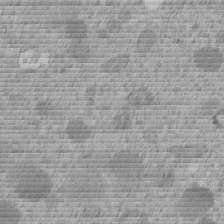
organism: C. elegans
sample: C. elegans embryo early stage